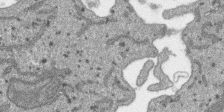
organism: Human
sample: Lung epithelial cells infected with SARS-CoV-2